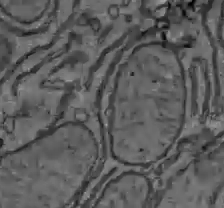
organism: C57BL Mouse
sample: Liver